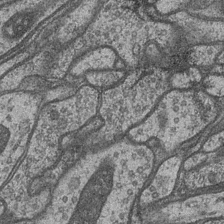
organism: Drosophila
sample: Optic medulla